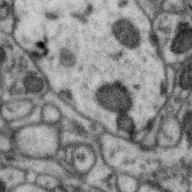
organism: Zebra finch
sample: Brain